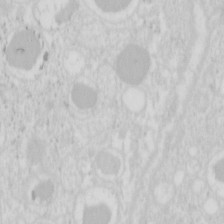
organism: Mouse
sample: Pancreas